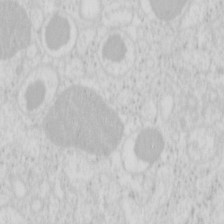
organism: Mouse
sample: Pancreas